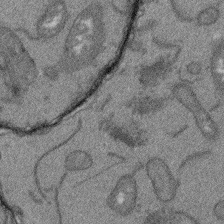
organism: Arabidopsis thaliana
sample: Root tip